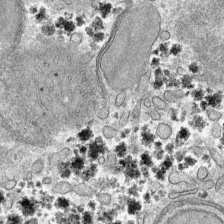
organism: Mouse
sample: Mouse hepatocytes